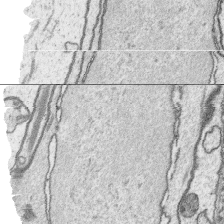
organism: Platynereis dumerilii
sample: Parapodia